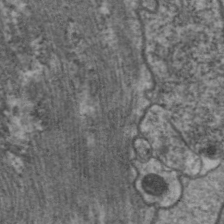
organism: C. elegans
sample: Pharynx